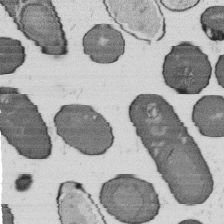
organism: B. subtilis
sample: Bacterial spore